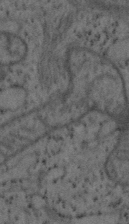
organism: Human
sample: HeLa cells